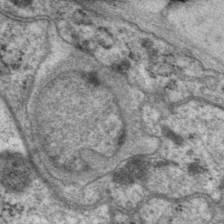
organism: P. pacificus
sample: Pharynx